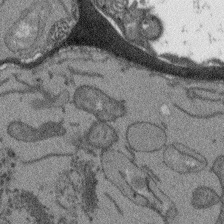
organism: Arabidopsis thaliana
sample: Root tip